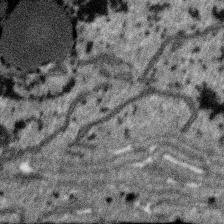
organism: Human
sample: Lung epithelial cells infected with SARS-CoV-2